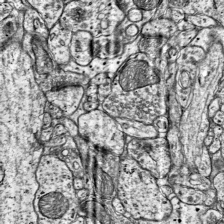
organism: Mouse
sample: Visual Cortex